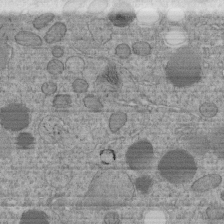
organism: C. elegans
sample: C. elegans embryo early stage